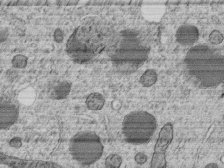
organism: C. elegans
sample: C. elegans embryo early stage